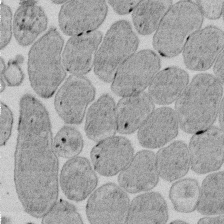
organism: E. coli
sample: Bacterial nucleoid